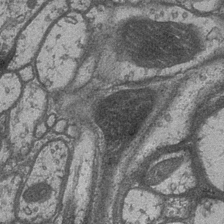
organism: Drosophila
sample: Optic medulla